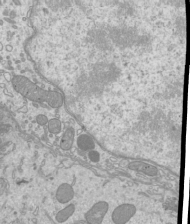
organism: Mouse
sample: Cilia; mouse epididymis